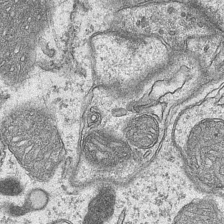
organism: Mouse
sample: CA1 Hippocampus